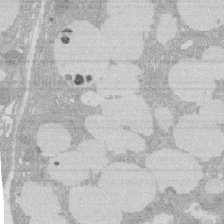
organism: Rat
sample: Salivary granule